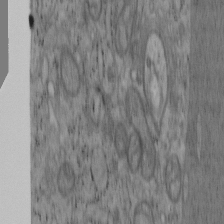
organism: Human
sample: HeLa cells